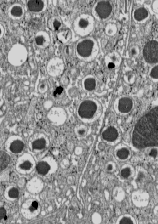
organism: C57BL Mouse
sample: Pancreatic islet